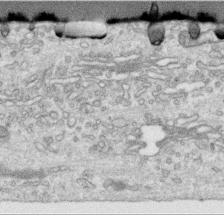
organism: Human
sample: Centriole in RPE cells